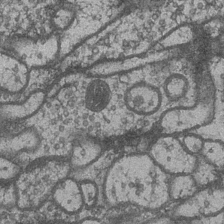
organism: Drosophila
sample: Optic medulla